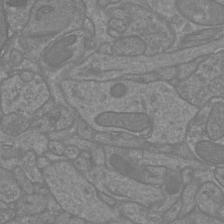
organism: Mouse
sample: Cortical neurons